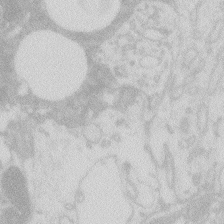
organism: Zebrafish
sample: Macrophage